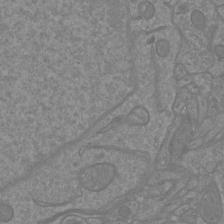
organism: Mouse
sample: Cortical neurons